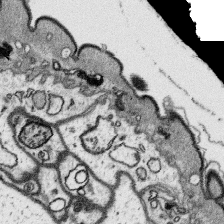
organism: Platynereis dumerilii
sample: Parapodia